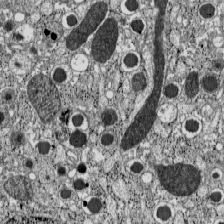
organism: C57BL Mouse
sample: Pancreatic islet